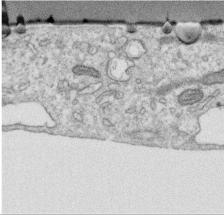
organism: Human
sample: Centriole in RPE cells